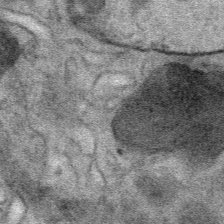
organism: Mouse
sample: Mouse Salivary gland